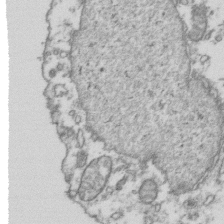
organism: Human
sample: Activated Jurkat CD4+ T cells